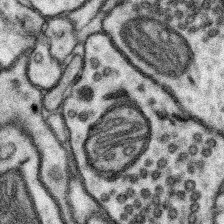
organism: Mouse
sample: Somatosensory cortex neuropil